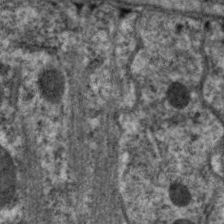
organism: C. elegans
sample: Pharynx